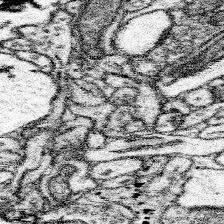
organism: Mouse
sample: Somatosensory cortex neuropil